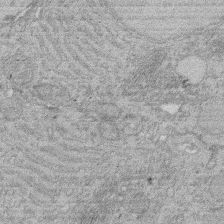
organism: Rat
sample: Salivary granule